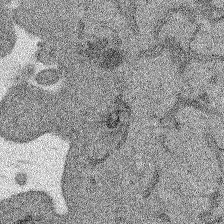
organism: Human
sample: HeLa cells